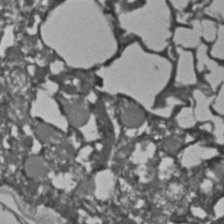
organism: C. elegans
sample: C. elegans embryo